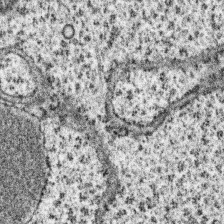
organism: Human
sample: HeLa cells